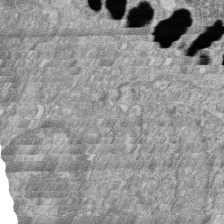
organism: Zebrafish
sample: Cilia; retinal pigment epithelium